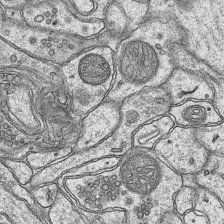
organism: Mouse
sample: CA1 Hippocampus